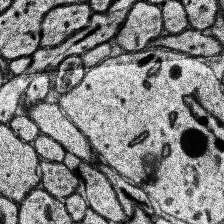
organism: Human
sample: Temporal Lobe